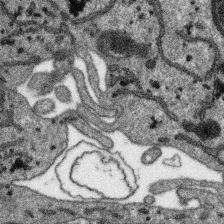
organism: Human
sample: Lung epithelial cells infected with SARS-CoV-2